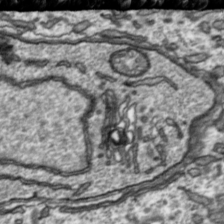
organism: Toxoplasma gondii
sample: Parasites in a vacuole inside a host cell